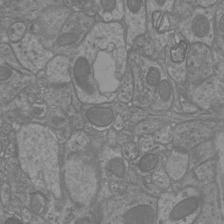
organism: Mouse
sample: Cortical neurons